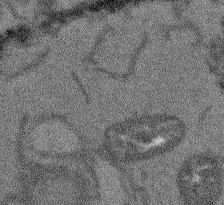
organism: Arabidopsis thaliana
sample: Root tip